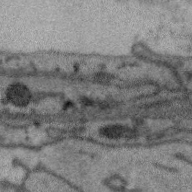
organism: Zebra finch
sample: Brain